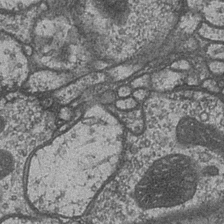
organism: Drosophila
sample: Optic medulla